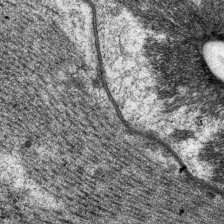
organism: P. pacificus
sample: Pharynx